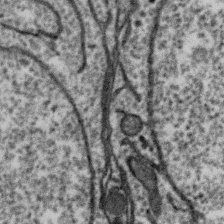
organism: Zebra finch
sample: Brain